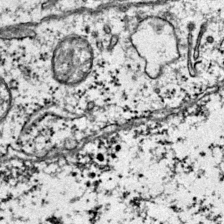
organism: Mouse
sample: Primary visual cortex